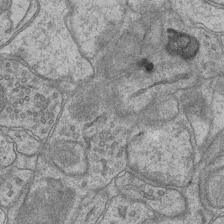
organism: Mouse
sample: CA1 Hippocampus